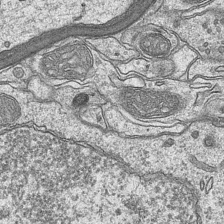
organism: Mouse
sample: CA1 Hippocampus